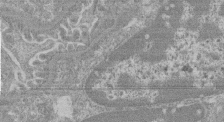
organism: Mouse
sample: Glomerulus